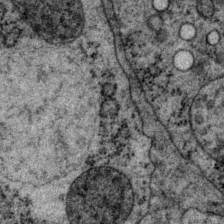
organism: P. pacificus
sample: Pharynx